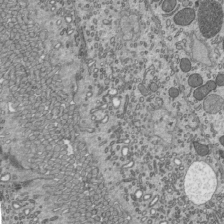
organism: Mouse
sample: Mouse epididymis efferent ductule cilia